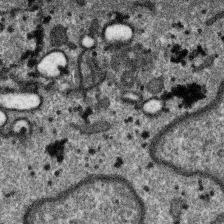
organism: Human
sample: Lung epithelial cells infected with SARS-CoV-2